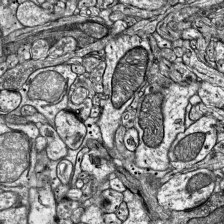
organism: Mouse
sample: Visual Cortex